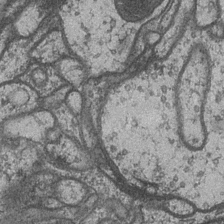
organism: Drosophila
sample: Optic medulla